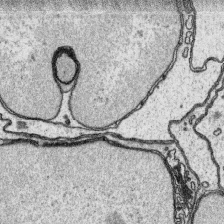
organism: Platynereis dumerilii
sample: Parapodia